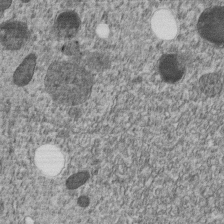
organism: C. elegans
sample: C. elegans embryo early stage